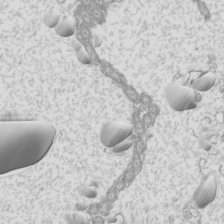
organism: Mouse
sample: Cilia; mouse epididymis